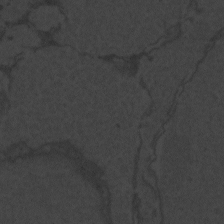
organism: Zebrafish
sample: Macrophage infected with Toxoplasma gondii